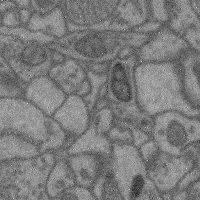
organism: Mouse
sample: Cerebral cortex